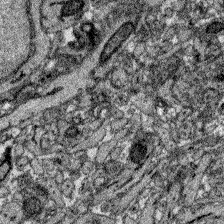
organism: Zebrafish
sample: Larval olfactory bulb